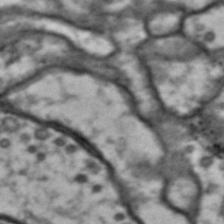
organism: Drosophila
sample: Brain